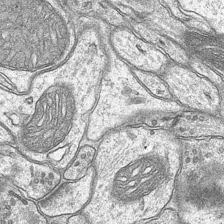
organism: Mouse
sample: CA1 Hippocampus